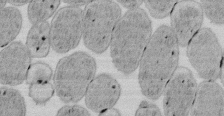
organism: E. coli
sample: Bacterial nucleoid